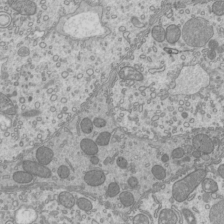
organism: Mouse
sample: Cilia; mouse epididymis